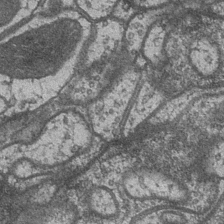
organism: Drosophila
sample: Optic medulla